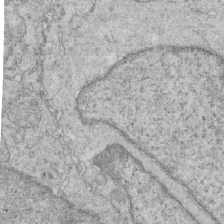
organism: Mouse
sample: Multiciliated cells